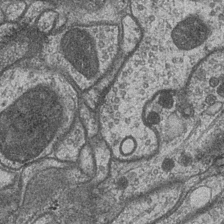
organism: Drosophila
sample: Optic medulla